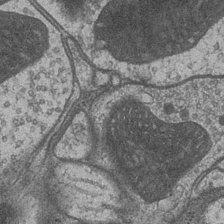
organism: Drosophila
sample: Optic medulla